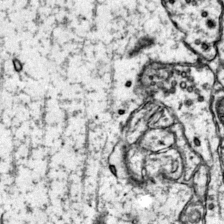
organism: Mouse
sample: Primary visual cortex